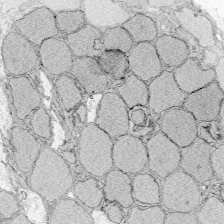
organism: Zebrafish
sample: Whole-Brain